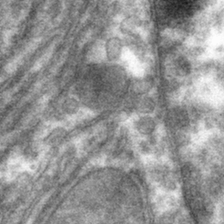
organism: Mouse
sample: Mouse hepatocytes